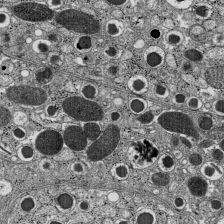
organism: C57BL Mouse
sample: Pancreatic islet